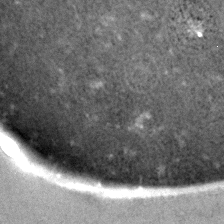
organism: C. elegans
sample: C. elegans embryo